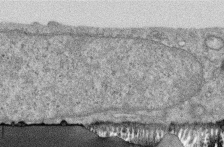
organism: Human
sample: Centriole in RPE cells